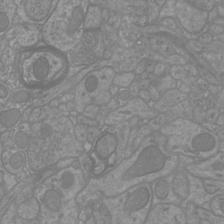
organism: Mouse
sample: Cortical neurons